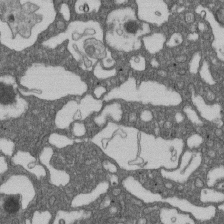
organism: Drosophila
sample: Nephrocyte